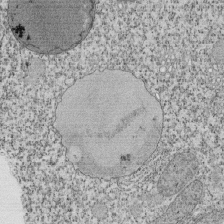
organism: Tetrahymena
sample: Cilia in tetrahymena